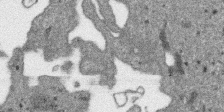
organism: Human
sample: Lung epithelial cells infected with SARS-CoV-2